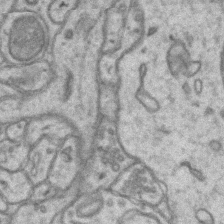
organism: Mouse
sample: CA1 Hippocampus